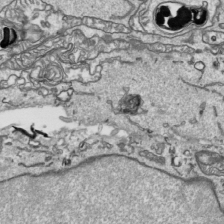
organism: Human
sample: Mitochondria in HCT116 cells